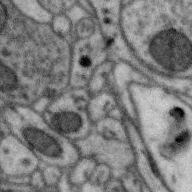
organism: Zebra finch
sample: Brain